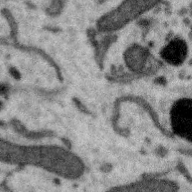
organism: Zebra finch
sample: Brain